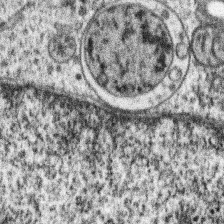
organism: Human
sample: HeLa cells